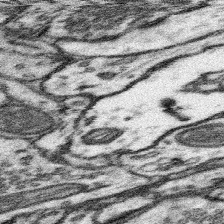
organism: Mouse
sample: Somatosensory cortex neuropil